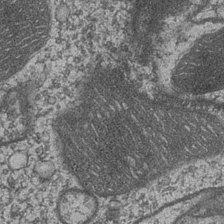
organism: Drosophila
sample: Optic medulla